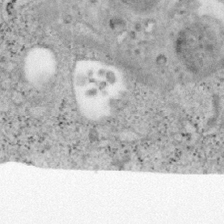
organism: Mouse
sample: OT-I killer T cells with ID8 ovarian cancer cells